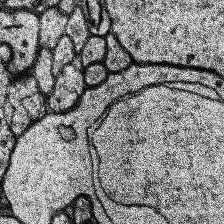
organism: Human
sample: Temporal Lobe